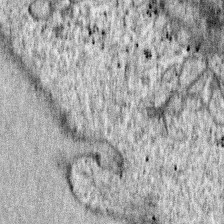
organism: Human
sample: HeLa cells